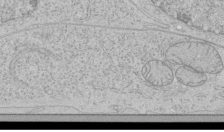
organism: Human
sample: Mitochondria in HCT116 cells